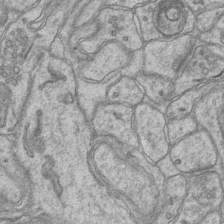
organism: Mouse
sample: CA1 Hippocampus